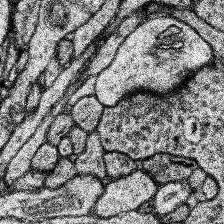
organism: Human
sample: Temporal Lobe